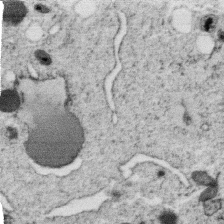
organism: C. elegans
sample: C. elegans oocyte; sperm cells